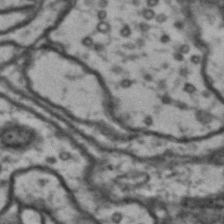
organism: Drosophila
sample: Brain